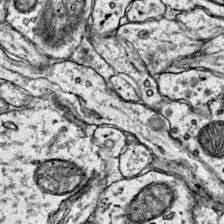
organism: Mouse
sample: Primary visual cortex